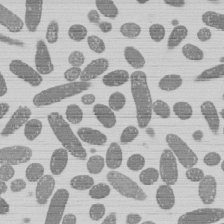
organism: E. coli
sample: Bacterial nucleoid